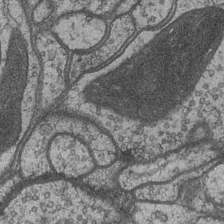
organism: Drosophila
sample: Optic medulla